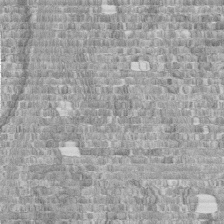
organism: Human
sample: Centriole in fibroblast cells